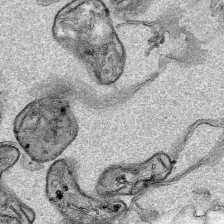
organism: Human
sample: Mitochondria in HCT116 cells